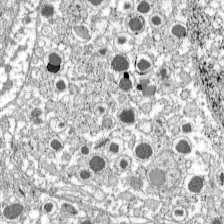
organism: C57BL Mouse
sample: Pancreatic islet